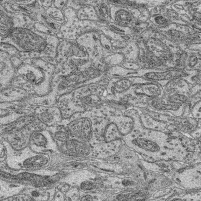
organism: Mouse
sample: Retina